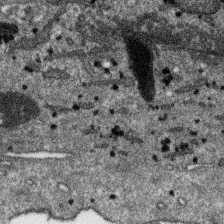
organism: Human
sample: Lung epithelial cells infected with SARS-CoV-2